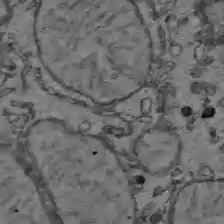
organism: C57BL Mouse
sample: Liver